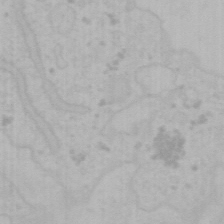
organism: Mouse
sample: Choroid plexus